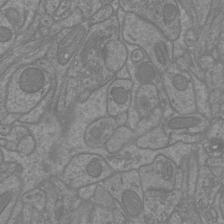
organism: Mouse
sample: Cortical neurons